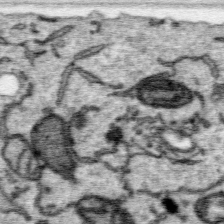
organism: Human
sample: HeLa cells